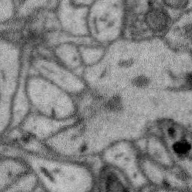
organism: Zebra finch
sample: Brain